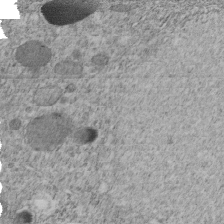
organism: C. elegans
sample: C. elegans embryo early stage